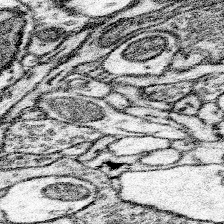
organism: Mouse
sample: Somatosensory cortex neuropil